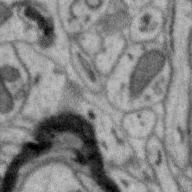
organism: Zebra finch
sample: Brain